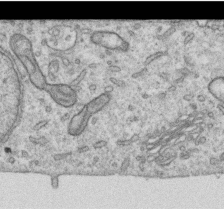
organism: Human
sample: Centriole in RPE cells